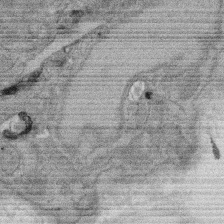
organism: Rat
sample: Salivary granule